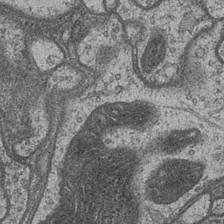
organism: Drosophila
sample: Optic medulla